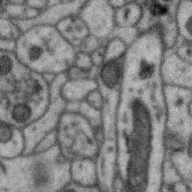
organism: Zebra finch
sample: Brain